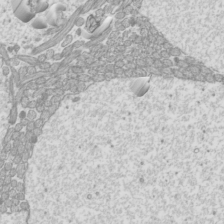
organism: Mouse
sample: Cilia; mouse epididymis